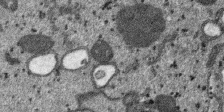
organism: Human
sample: Lung epithelial cells infected with SARS-CoV-2